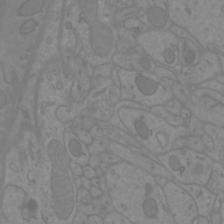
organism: Mouse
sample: Cortical neurons